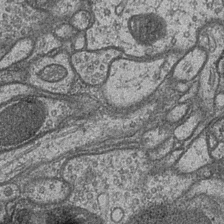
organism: Drosophila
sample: Optic medulla